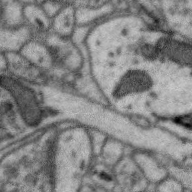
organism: Zebra finch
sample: Brain